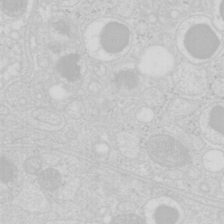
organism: Mouse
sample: Pancreas